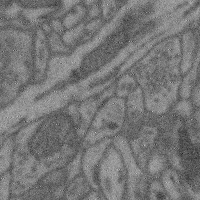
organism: Mouse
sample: Cerebral cortex